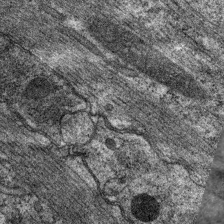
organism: C. elegans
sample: Pharynx